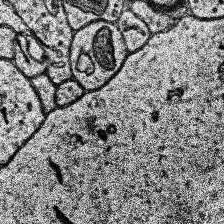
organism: Human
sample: Temporal Lobe